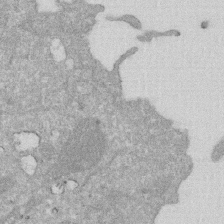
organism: Human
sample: HIV infected U937 cells